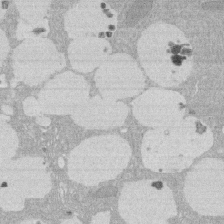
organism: Rat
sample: Salivary granule